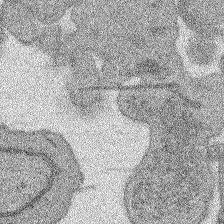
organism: Human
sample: HeLa cells